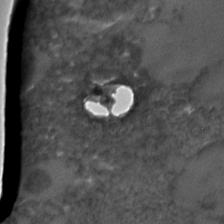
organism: C. elegans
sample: C. elegans embryo